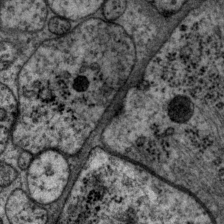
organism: P. pacificus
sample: Pharynx